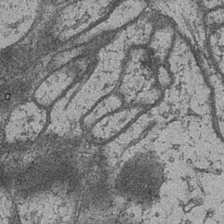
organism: Drosophila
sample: Optic medulla